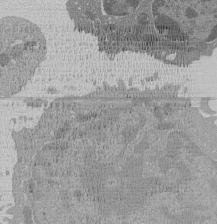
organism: Mouse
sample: Activated Pmel transgenic CD8+ T Cells